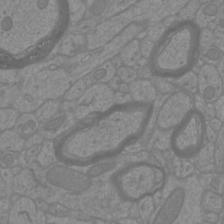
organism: Mouse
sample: Cortical neurons